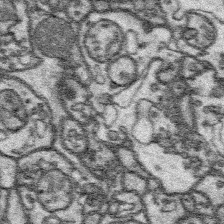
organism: Platynereis dumerilii